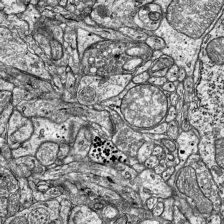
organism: Mouse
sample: Visual Cortex